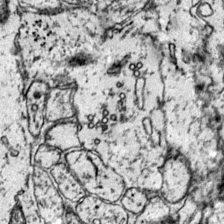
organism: Mouse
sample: Primary visual cortex